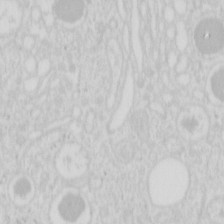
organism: Mouse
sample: Pancreas